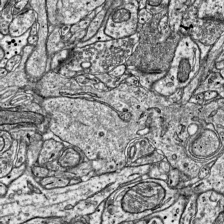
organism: Mouse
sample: Visual Cortex